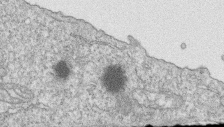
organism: Human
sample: HeLa cell HIV synapse